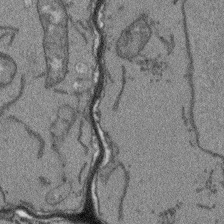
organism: Arabidopsis thaliana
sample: Root tip